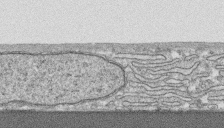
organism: Human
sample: CRL-1474